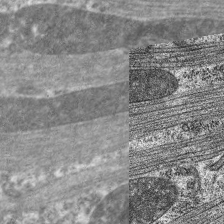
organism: C. elegans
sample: Pharynx